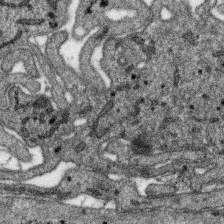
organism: Human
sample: Lung epithelial cells infected with SARS-CoV-2